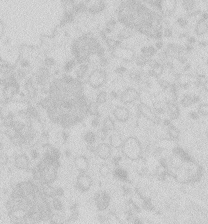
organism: Zebrafish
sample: Macrophage